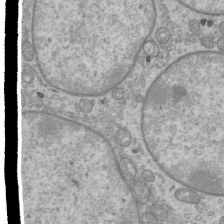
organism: Mouse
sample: Cilia; mouse epididymis